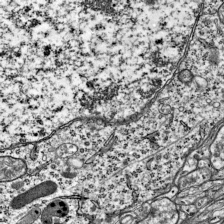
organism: Mouse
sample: Visual Cortex